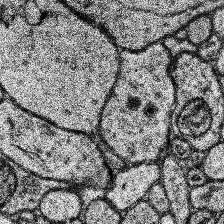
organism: Human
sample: Temporal Lobe